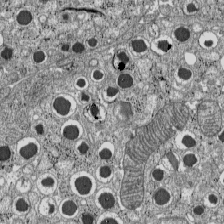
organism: C57BL Mouse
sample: Pancreatic islet